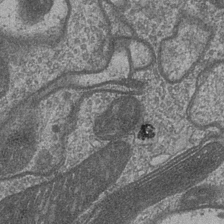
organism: Drosophila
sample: Optic medulla